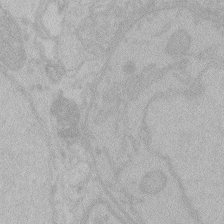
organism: Zebrafish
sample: Macrophage infected with Toxoplasma gondii